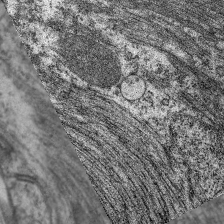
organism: C. elegans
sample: Pharynx